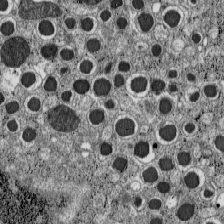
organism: C57BL Mouse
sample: Pancreatic islet